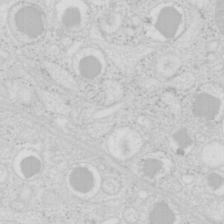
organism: Mouse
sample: Pancreas